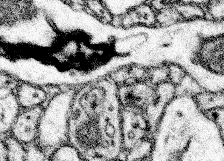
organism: Mouse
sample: Somatosensory cortex neuropil